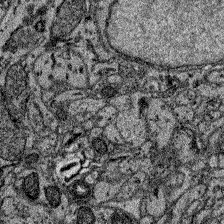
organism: Zebrafish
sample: Larval olfactory bulb